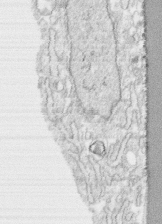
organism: Human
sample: CRL-1474